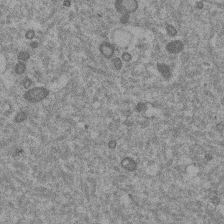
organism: Mouse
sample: Dividing mouse embryo 1 cell stage